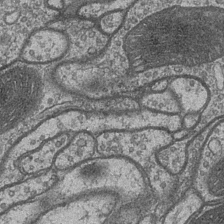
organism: Drosophila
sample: Optic medulla